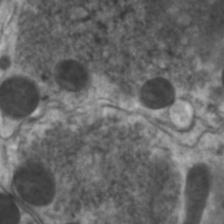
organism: C. elegans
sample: Pharynx